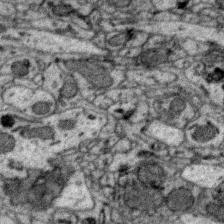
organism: Zebra finch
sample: Brain